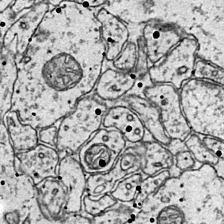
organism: Mouse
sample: Primary visual cortex